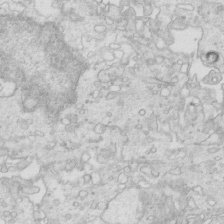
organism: Mouse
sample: Multiciliated cells